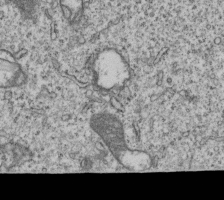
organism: Human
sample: MDA-MB-231 cells